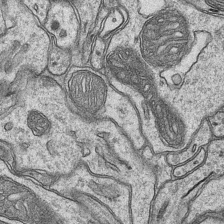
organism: Mouse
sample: CA1 Hippocampus